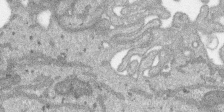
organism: Human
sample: Lung epithelial cells infected with SARS-CoV-2